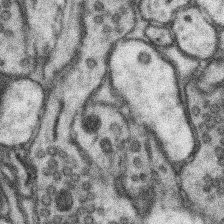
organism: Mouse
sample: Somatosensory cortex neuropil